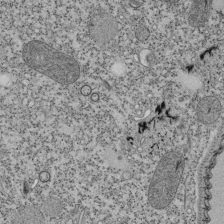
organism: Tetrahymena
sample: Cilia in tetrahymena